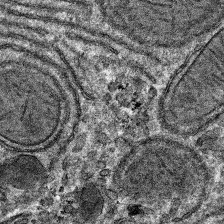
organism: Mouse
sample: Mouse hepatocytes